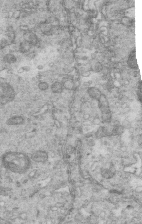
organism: Mouse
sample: Multiciliated cells